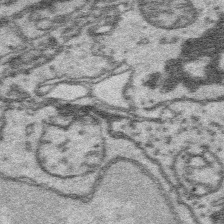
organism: Platynereis dumerilii